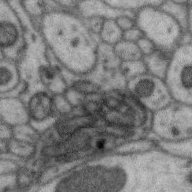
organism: Zebra finch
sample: Brain